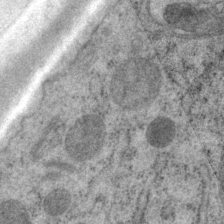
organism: P. pacificus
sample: Pharynx